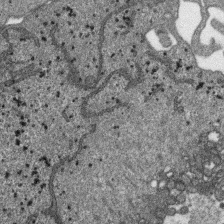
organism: Human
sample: Lung epithelial cells infected with SARS-CoV-2